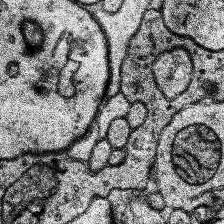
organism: Human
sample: Temporal Lobe